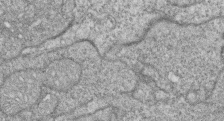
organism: Zebrafish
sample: Cilia; retinal pigment epithelium